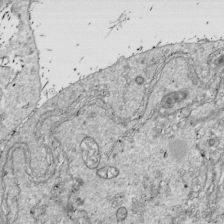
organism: Drosophila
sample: Cell division; meiosis; drosophila spermatocytes